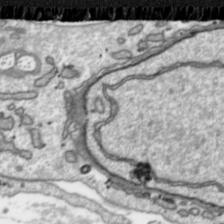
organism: Toxoplasma gondii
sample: Parasites in a vacuole inside a host cell